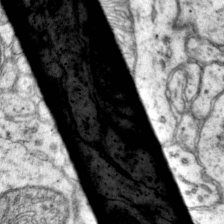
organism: Mouse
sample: Primary visual cortex